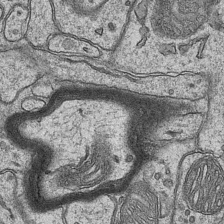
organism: Mouse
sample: CA1 Hippocampus